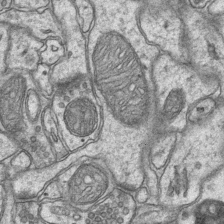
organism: Mouse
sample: CA1 Hippocampus